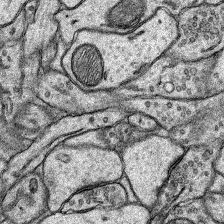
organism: Rat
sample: Hippocampus